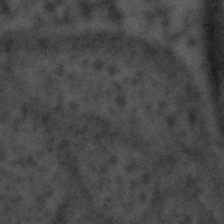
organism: Tuwongella immobilis